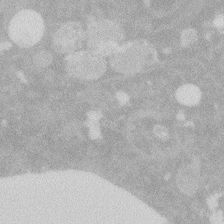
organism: Zebrafish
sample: Macrophage